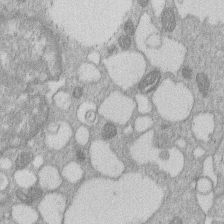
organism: Human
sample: Macrophage cells